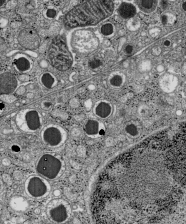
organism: C57BL Mouse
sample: Pancreatic islet